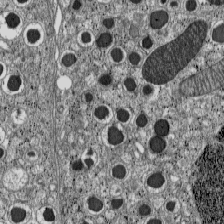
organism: C57BL Mouse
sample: Pancreatic islet